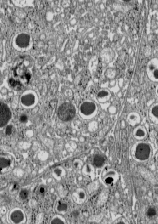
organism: C57BL Mouse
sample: Pancreatic islet